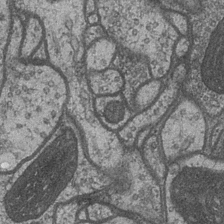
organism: Drosophila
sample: Optic medulla